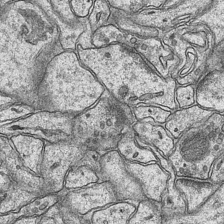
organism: Mouse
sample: CA1 Hippocampus